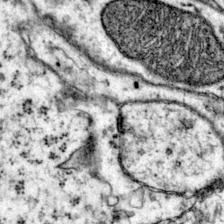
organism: Mouse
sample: Primary visual cortex